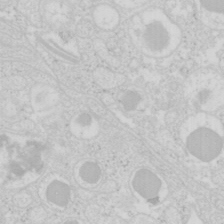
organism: Mouse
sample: Pancreas